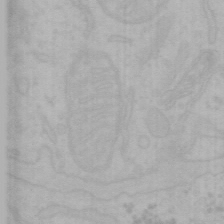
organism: Mouse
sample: Choroid plexus